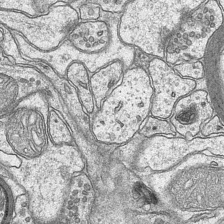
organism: Mouse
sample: CA1 Hippocampus